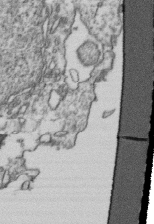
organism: Human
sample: Activated Jurkat CD4+ T cells